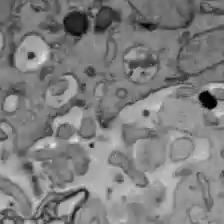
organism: C57BL Mouse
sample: Liver